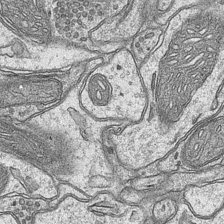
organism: Mouse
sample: CA1 Hippocampus